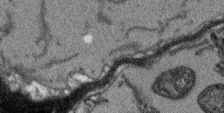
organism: Arabidopsis thaliana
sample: Root tip